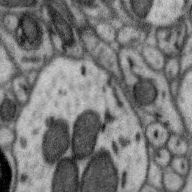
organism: Zebra finch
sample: Brain